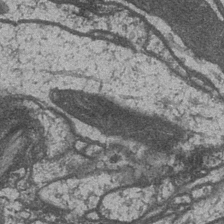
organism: Drosophila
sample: Optic medulla